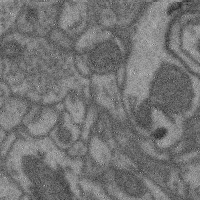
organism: Mouse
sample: Cerebral cortex